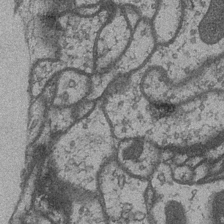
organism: Drosophila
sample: Optic medulla